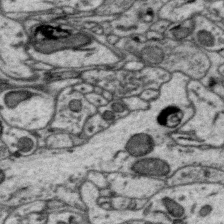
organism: Zebra finch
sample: Brain